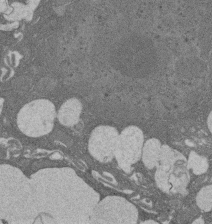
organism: Rat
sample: Salivary granule